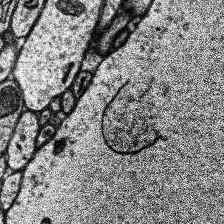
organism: Human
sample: Temporal Lobe